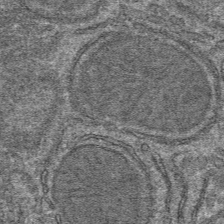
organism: Mouse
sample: Mouse hepatocytes